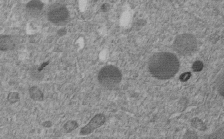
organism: C. elegans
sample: C. elegans embryo early stage